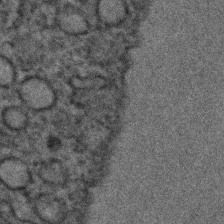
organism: C. elegans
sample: C. elegans embryo